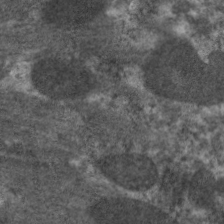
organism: C. elegans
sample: Pharynx